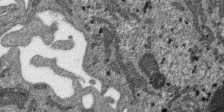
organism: Human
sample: Lung epithelial cells infected with SARS-CoV-2